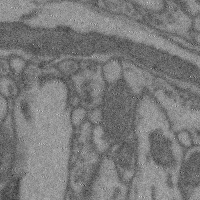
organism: Mouse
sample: Cerebral cortex